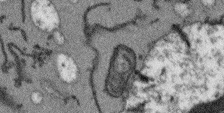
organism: Arabidopsis thaliana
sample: Root tip